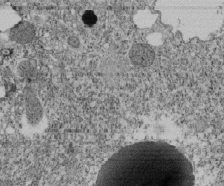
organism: Tetrahymena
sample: Cilia in tetrahymena